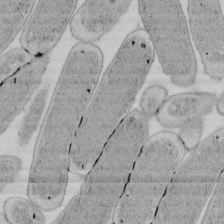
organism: E. coli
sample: Bacterial nucleoid